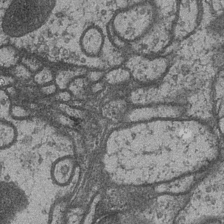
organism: Drosophila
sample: Optic medulla